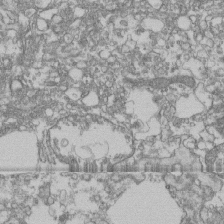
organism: Human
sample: Fibroblast cells